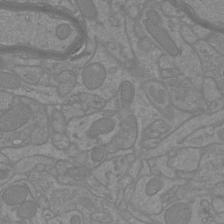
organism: Mouse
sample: Cortical neurons